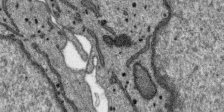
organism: Human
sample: Lung epithelial cells, uninfected (mock) control